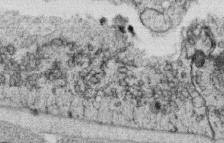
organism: C. elegans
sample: C. elegans oocyte; sperm cells